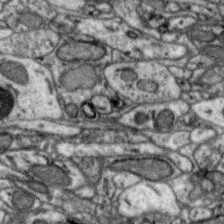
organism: Zebra finch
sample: Brain